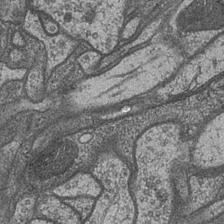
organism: Drosophila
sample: Optic medulla